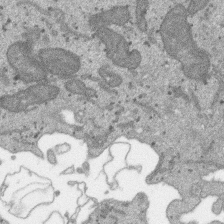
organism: Human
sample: Lung epithelial cells infected with SARS-CoV-2